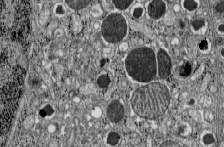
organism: C57BL Mouse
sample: Pancreatic islet